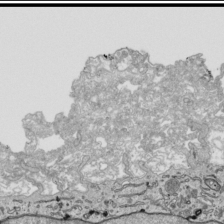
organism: Human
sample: Mitochondria in HCT116 cells